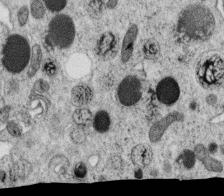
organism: C. elegans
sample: C. elegans oocyte; sperm cells